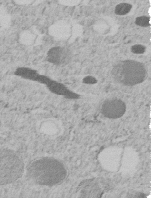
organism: C. elegans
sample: C. elegans embryo early stage